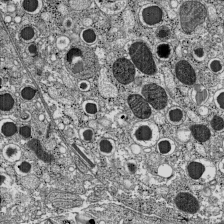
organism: C57BL Mouse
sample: Pancreatic islet